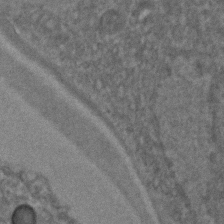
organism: C. elegans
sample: C. elegans embryo